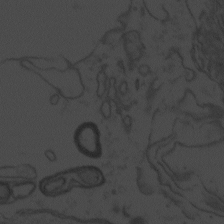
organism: Zebrafish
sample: Macrophage infected with Toxoplasma gondii